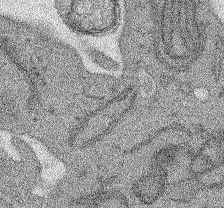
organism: Human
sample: HeLa cells